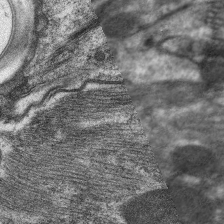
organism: C. elegans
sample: Pharynx